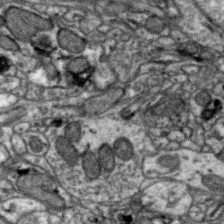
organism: Zebra finch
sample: Brain